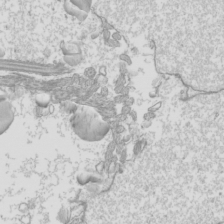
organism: Mouse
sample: Cilia; mouse epididymis